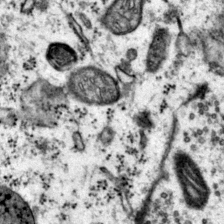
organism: Mouse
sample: Primary visual cortex